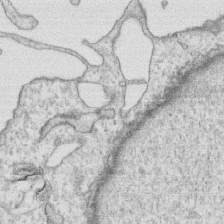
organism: Human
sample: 1205lu cells